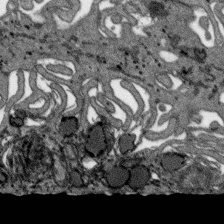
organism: Human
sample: Lung epithelial cells, uninfected (mock) control